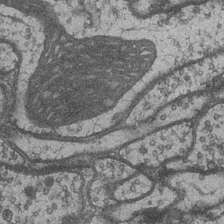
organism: Drosophila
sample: Optic medulla